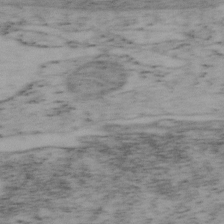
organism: Mouse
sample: OT-I killer T cells with ID8 ovarian cancer cells